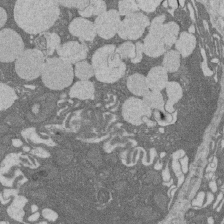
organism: Rat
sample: Salivary granule